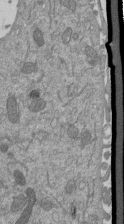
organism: Mouse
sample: ED-1 cell nuclei; centrioles